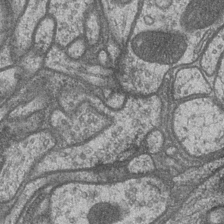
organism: Drosophila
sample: Optic medulla